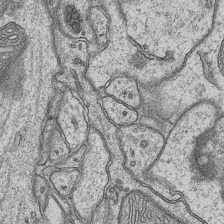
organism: Mouse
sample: CA1 Hippocampus